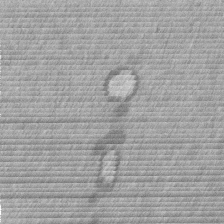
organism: Mouse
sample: Dividing mouse embryo 1 cell stage